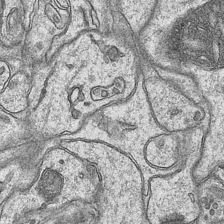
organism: Mouse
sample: CA1 Hippocampus